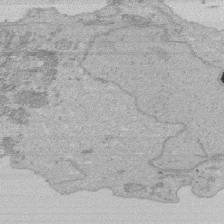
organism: Human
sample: Activated Jurkat CD4+ T cells